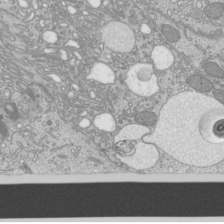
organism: Mouse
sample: Cilia; mouse epididymis